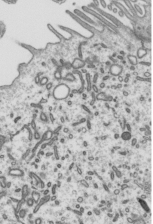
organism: Mouse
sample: Mouse epididymis efferent ductule cilia